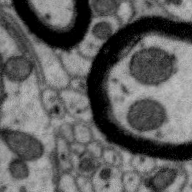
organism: Zebra finch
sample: Brain